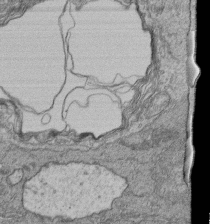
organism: Human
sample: Retinal organoid Rod and Cone cells